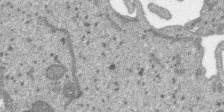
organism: Human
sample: Lung epithelial cells infected with SARS-CoV-2